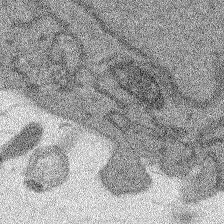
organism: Human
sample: HeLa cells